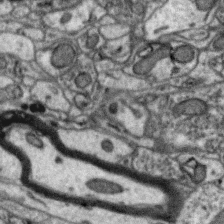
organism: Zebra finch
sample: Brain